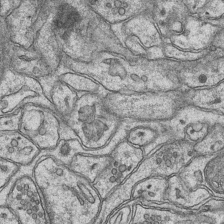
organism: Mouse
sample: CA1 Hippocampus